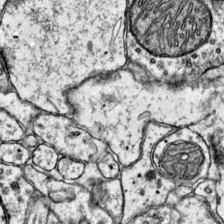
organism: Mouse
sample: Primary visual cortex